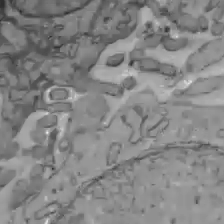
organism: C57BL Mouse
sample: Liver